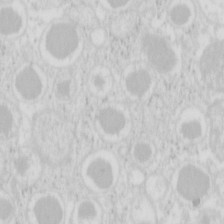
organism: Mouse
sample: Pancreas